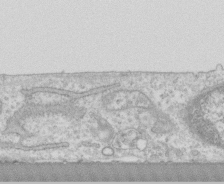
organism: Human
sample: CRL-1474